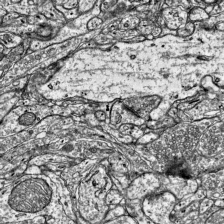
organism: Mouse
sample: Visual Cortex